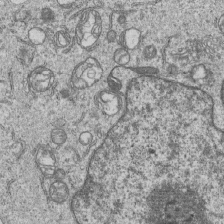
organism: Human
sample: MDA-MB-231 cells